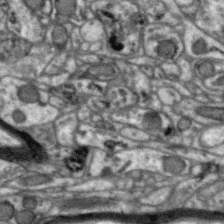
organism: Zebra finch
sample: Brain